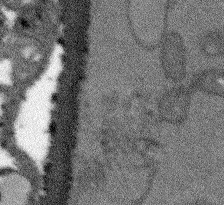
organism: Arabidopsis thaliana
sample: Root tip